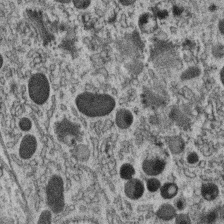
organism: C. elegans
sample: C. elegans oocyte; sperm cells